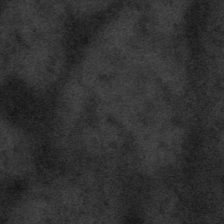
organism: Tuwongella immobilis